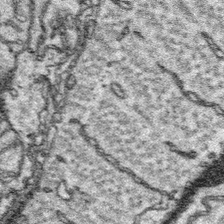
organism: Platynereis dumerilii